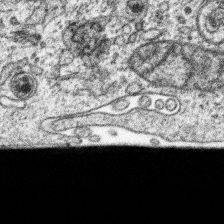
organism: Human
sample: HeLa cells